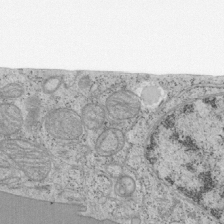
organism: Human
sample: HeLa cells